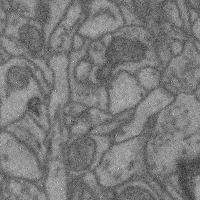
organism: Mouse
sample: Cerebral cortex